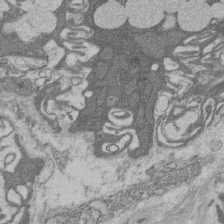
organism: Rat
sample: Salivary granule